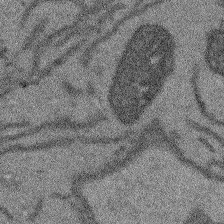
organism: Arabidopsis thaliana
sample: Root tip